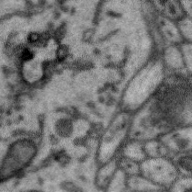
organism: Zebra finch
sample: Brain